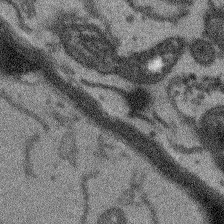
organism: Arabidopsis thaliana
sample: Root tip